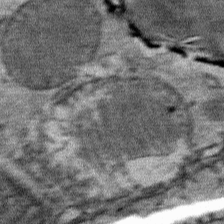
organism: Mouse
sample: Mouse Salivary gland